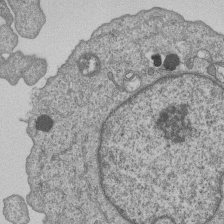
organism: Human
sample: MDA-MB-231 cells